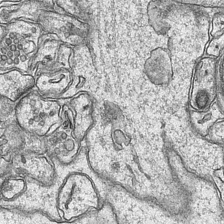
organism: Mouse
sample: CA1 Hippocampus